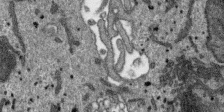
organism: Human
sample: Lung epithelial cells, uninfected (mock) control